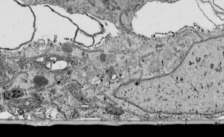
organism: Human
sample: Mitochondria in HCT116 cells